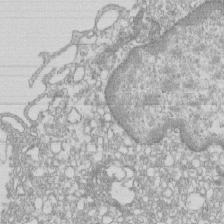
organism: Mouse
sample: Macrophages